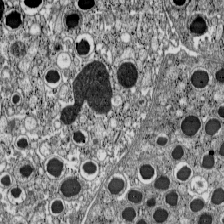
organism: C57BL Mouse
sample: Pancreatic islet